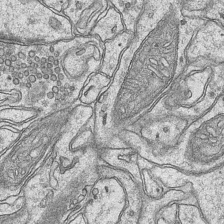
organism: Mouse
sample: CA1 Hippocampus